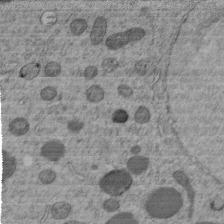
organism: C. elegans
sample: C. elegans embryo early stage